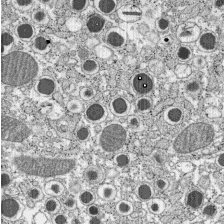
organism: C57BL Mouse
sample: Pancreatic islet